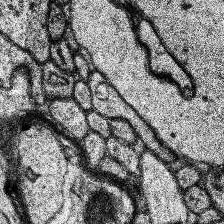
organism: Human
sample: Temporal Lobe